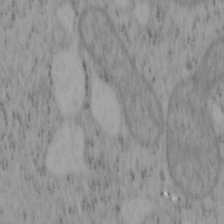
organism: Mouse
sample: OT-I killer T cells with ID8 ovarian cancer cells